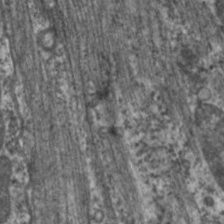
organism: C. elegans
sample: Pharynx